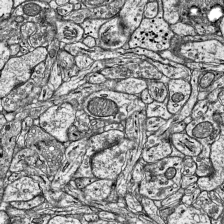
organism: Mouse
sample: Visual Cortex